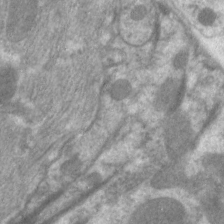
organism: C. elegans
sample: Pharynx